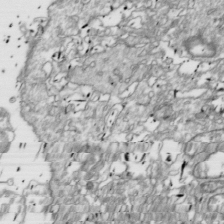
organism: Drosophila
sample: Cell division; meiosis; drosophila spermatocytes